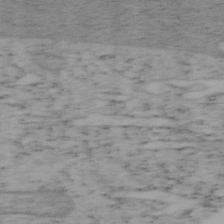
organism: Mouse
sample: OT-I killer T cells with ID8 ovarian cancer cells